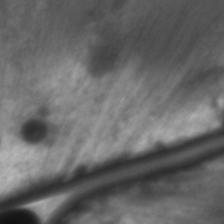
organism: C. elegans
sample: Pharynx